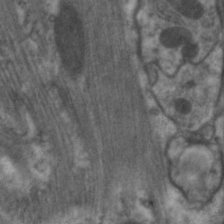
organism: C. elegans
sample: Pharynx